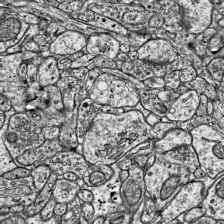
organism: Mouse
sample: Visual Cortex